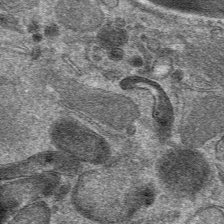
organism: Mouse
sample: Mouse hepatocytes